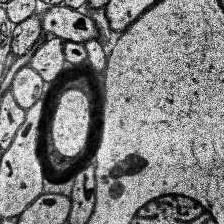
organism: Human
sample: Temporal Lobe